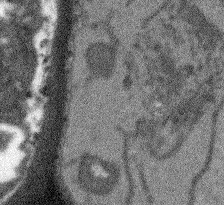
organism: Arabidopsis thaliana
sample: Root tip